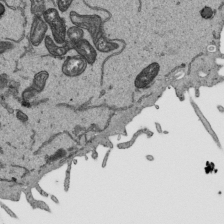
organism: Human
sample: Mitochondria in HCT116 cells